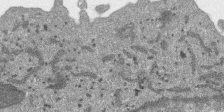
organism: Human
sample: Lung epithelial cells infected with SARS-CoV-2